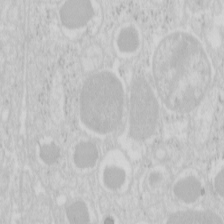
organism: Mouse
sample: Pancreas